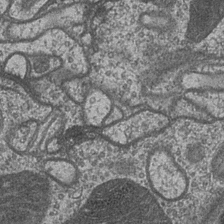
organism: Drosophila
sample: Optic medulla